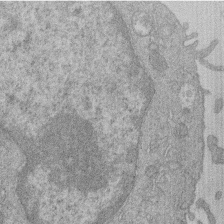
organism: Human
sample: Macrophage cells